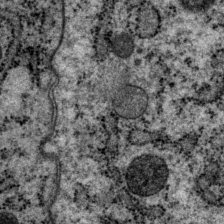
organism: P. pacificus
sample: Pharynx